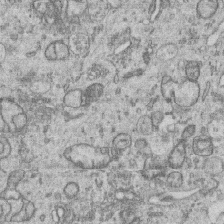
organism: Human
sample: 1205lu cells